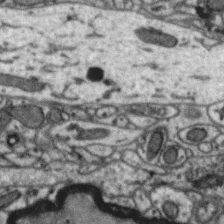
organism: Zebra finch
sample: Brain